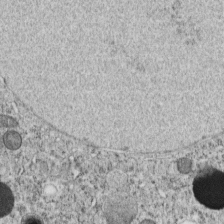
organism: C. elegans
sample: C. elegans embryo early stage